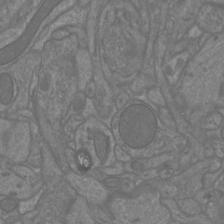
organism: Mouse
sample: Cortical neurons